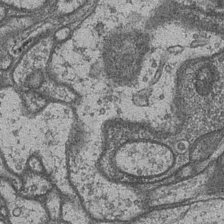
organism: Drosophila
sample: Optic medulla